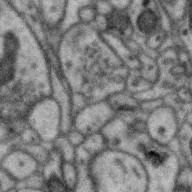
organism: Zebra finch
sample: Brain